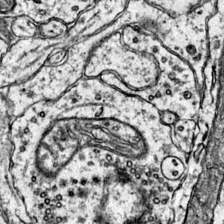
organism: Mouse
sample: Primary visual cortex